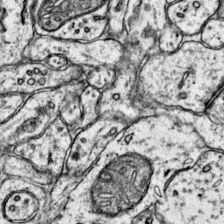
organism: Mouse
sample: Primary visual cortex